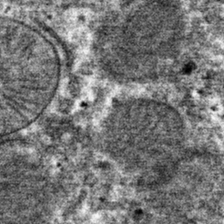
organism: Mouse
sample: Mouse hepatocytes